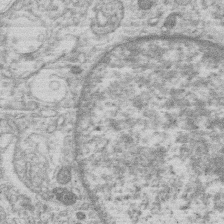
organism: Human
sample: Macrophage cells